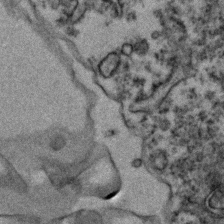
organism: Zebrafish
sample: Zebrafish embryo